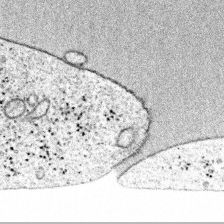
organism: Human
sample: HeLa cells